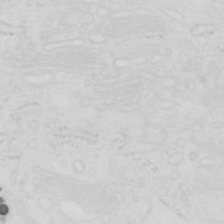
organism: Human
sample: SUM-159 cell